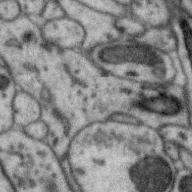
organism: Zebra finch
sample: Brain